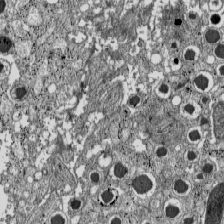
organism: C57BL Mouse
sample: Pancreatic islet